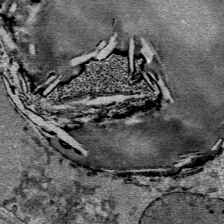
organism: Mouse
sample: Mouse Salivary gland